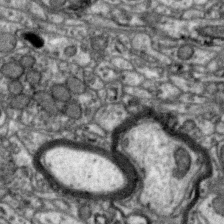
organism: Zebra finch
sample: Brain